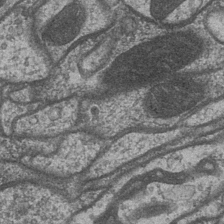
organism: Drosophila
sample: Optic medulla